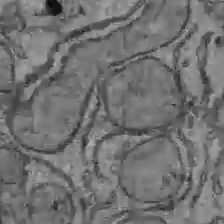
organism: C57BL Mouse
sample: Liver